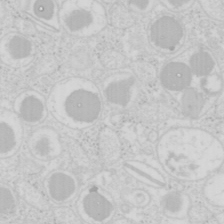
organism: Mouse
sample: Pancreas